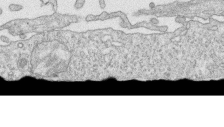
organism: Human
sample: HeLa cell HIV synapse